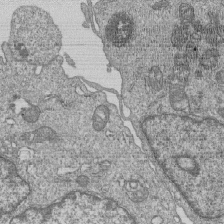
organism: Human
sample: MDA-MB-231 cells